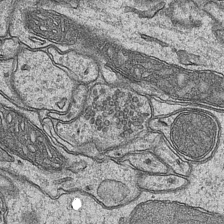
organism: Mouse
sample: CA1 Hippocampus